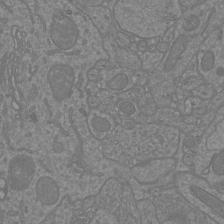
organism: Mouse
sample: Cortical neurons